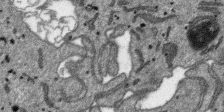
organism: Human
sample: Lung epithelial cells, uninfected (mock) control